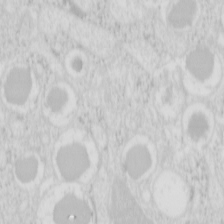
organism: Mouse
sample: Pancreas